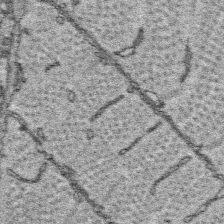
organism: Platynereis dumerilii